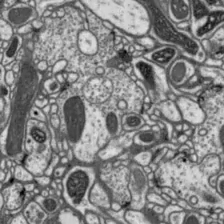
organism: Drosophila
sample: Protocerebral bridge